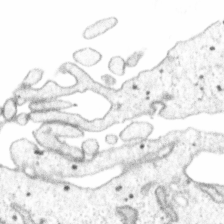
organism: Human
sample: HeLa cells